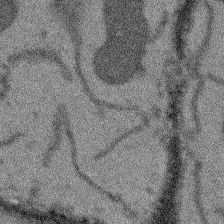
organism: Arabidopsis thaliana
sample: Root tip